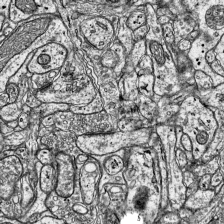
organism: Mouse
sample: Visual Cortex